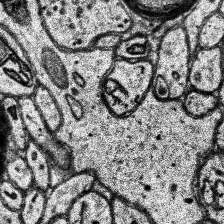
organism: Human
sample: Temporal Lobe